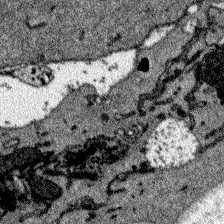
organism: Zebrafish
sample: Larval olfactory bulb